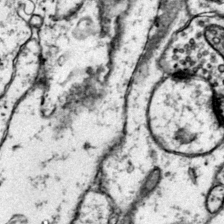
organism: Mouse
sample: Primary visual cortex